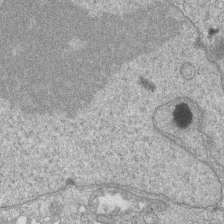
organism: Human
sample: HeLa cell HIV synapse